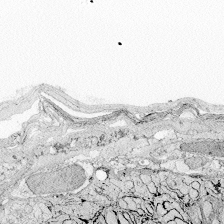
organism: Zebrafish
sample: Whole-Brain